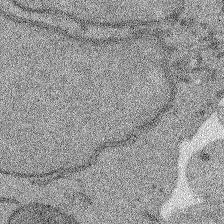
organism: Human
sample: HeLa cells